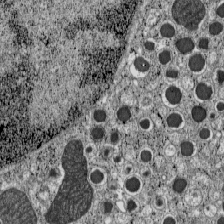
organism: C57BL Mouse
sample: Pancreatic islet